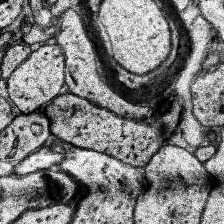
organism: Human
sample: Temporal Lobe